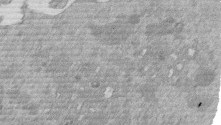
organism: Mouse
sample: Dividing mouse embryo 1 cell stage